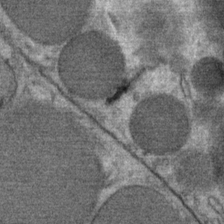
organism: Mouse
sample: Mouse Salivary gland